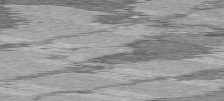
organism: C57BL Mouse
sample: Heart